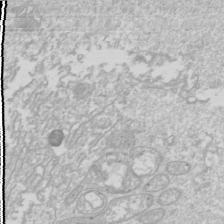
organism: Drosophila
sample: Cell division; meiosis; drosophila spermatocytes